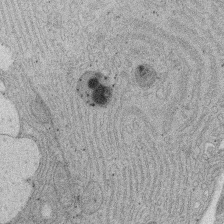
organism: Rat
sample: Salivary granule